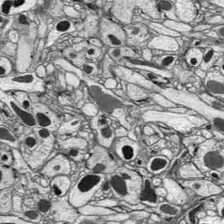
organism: Drosophila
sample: Optic lobe